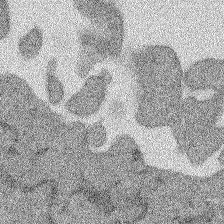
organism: Human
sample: HeLa cells